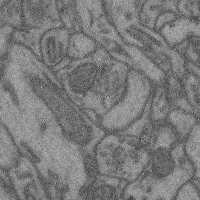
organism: Mouse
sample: Cerebral cortex